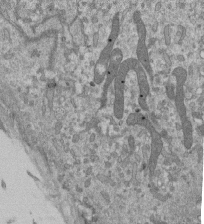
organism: Mouse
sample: ED-1 cell nuclei; centrioles